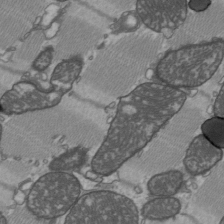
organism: C57BL Mouse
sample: Heart